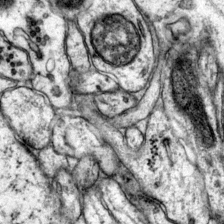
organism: Mouse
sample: Primary visual cortex